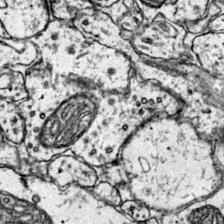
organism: Mouse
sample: Primary visual cortex